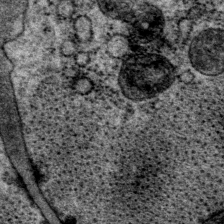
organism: P. pacificus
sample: Pharynx